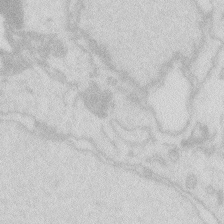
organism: Zebrafish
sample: Macrophage